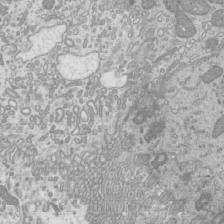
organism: Mouse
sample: Cilia; mouse epididymis